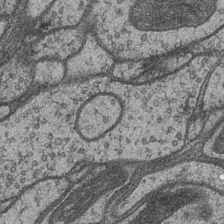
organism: Drosophila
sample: Optic medulla